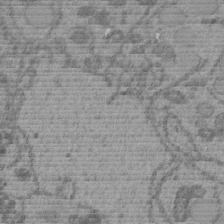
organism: C. elegans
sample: C. elegans embryo early stage